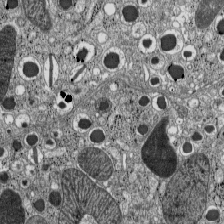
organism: C57BL Mouse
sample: Pancreatic islet